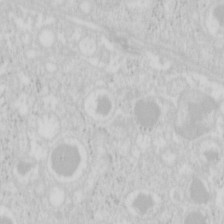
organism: Mouse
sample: Pancreas